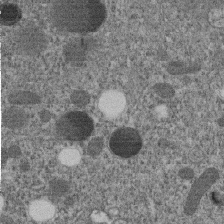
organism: C. elegans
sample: C. elegans embryo early stage